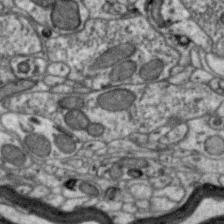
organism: Zebra finch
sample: Brain